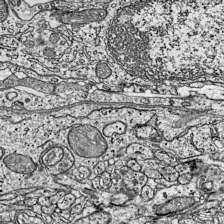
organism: Mouse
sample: Visual Cortex